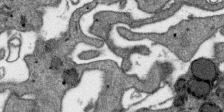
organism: Human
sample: Lung epithelial cells, uninfected (mock) control